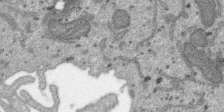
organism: Human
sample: Lung epithelial cells infected with SARS-CoV-2